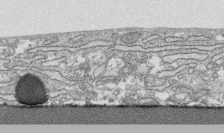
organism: Human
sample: CRL-1474